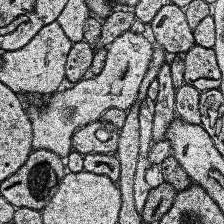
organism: Human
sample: Temporal Lobe